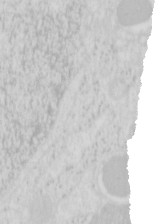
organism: Mouse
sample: Pancreas